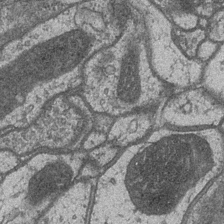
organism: Drosophila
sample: Optic medulla